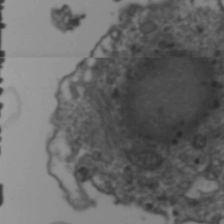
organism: Human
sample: HIV-1 Gag-iGFP